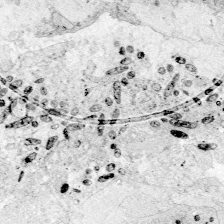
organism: Zebrafish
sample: Whole-Brain